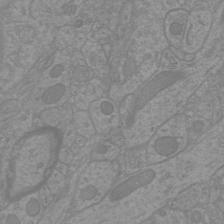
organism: Mouse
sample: Cortical neurons